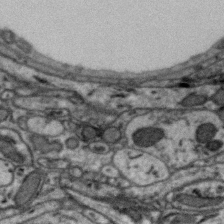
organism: Zebra finch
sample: Brain